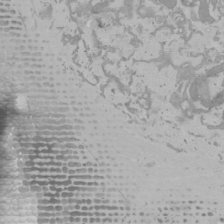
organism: Mouse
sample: Cancer cell death in ED-1 cells